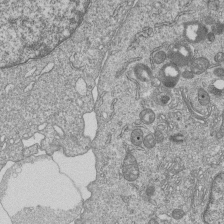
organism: Human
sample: MDA-MB-231 cells